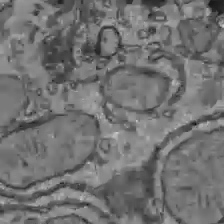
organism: C57BL Mouse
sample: Liver